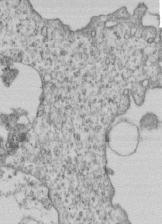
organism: Human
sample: MDA-MB-231 cells